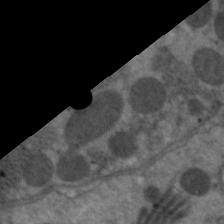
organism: C. elegans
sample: Pharynx